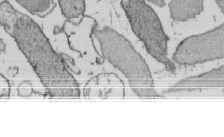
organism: E. coli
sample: Bacterial nucleoid